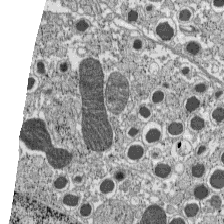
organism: C57BL Mouse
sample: Pancreatic islet